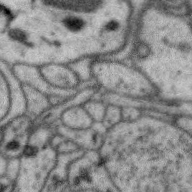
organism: Zebra finch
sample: Brain